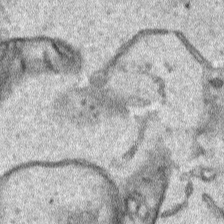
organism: Human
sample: Mitochondria in HCT116 cells